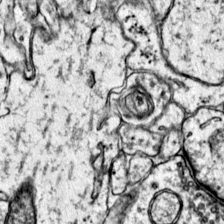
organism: Mouse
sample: Primary visual cortex